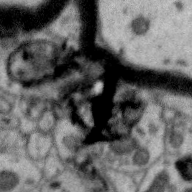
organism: Zebra finch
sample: Brain